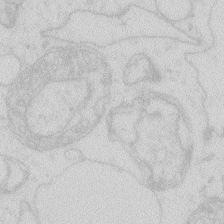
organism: Zebrafish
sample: Macrophage